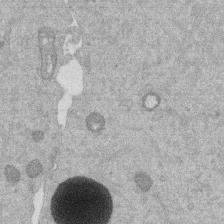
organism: Mouse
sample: Dividing mouse embryo 1 cell stage